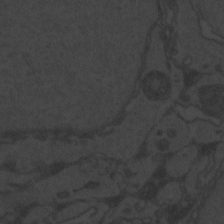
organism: Zebrafish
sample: Macrophage infected with Toxoplasma gondii